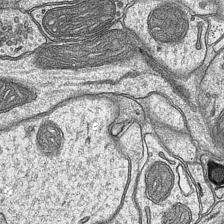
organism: Mouse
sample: CA1 Hippocampus